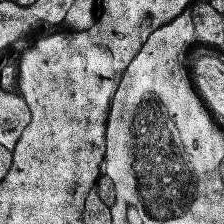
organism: Human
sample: Temporal Lobe